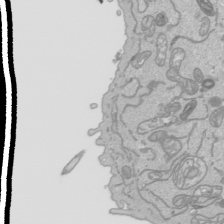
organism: Human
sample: Mitochondria in HCT116 cells